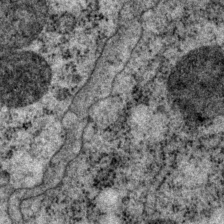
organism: P. pacificus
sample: Pharynx